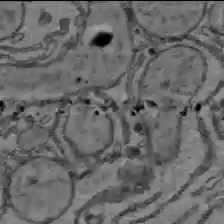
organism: C57BL Mouse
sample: Liver